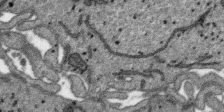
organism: Human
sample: Lung epithelial cells, uninfected (mock) control